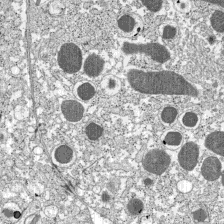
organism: C57BL Mouse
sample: Pancreatic islet